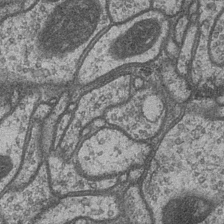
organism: Drosophila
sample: Optic medulla